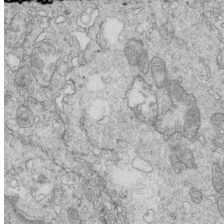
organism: Mouse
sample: Multiciliated cells